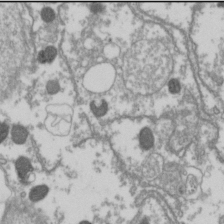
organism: Drosophila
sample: Cell division; meiosis; drosophila spermatocytes